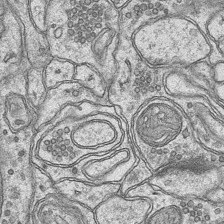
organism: Mouse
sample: CA1 Hippocampus